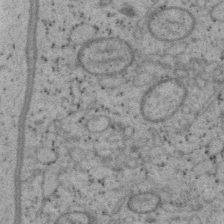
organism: Human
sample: HeLa cells